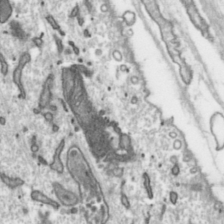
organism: Toxoplasma gondii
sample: Parasites in a vacuole inside a host cell